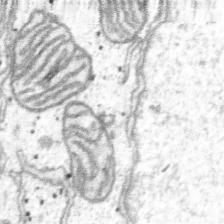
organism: Human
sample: HeLa cells